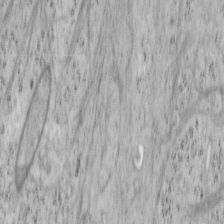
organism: Human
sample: HeLa cells